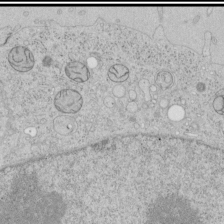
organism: Human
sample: Mitochondria in HCT116 cells